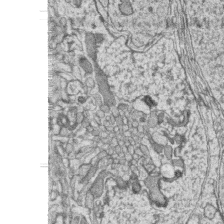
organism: Zebrafish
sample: synaptic ribbons in rod cells and cone cells